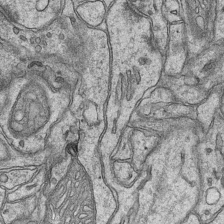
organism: Mouse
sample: CA1 Hippocampus